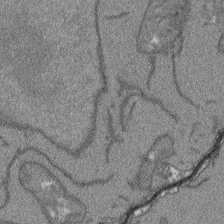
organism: Arabidopsis thaliana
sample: Root tip